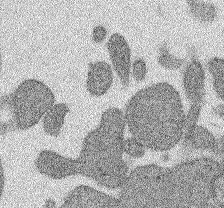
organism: Human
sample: HeLa cells